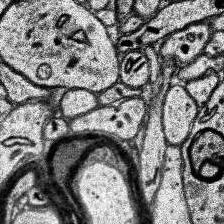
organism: Human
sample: Temporal Lobe